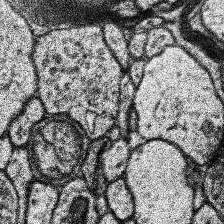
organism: Human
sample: Temporal Lobe